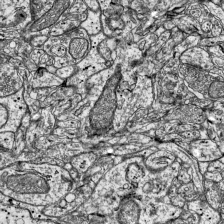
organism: Mouse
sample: Visual Cortex